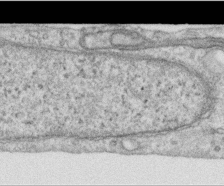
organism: Human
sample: Centriole in RPE cells